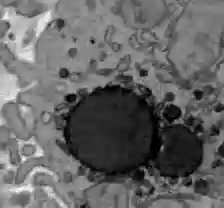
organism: C57BL Mouse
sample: Liver